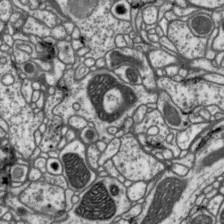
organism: Drosophila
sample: Protocerebral bridge